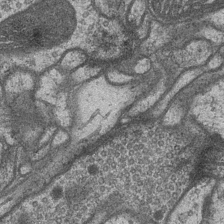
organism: Drosophila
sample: Optic medulla